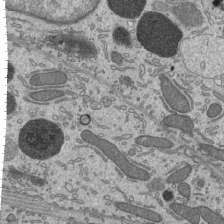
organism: Mouse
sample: Mouse epididymis efferent ductule cilia